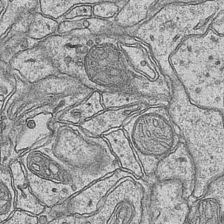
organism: Mouse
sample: CA1 Hippocampus